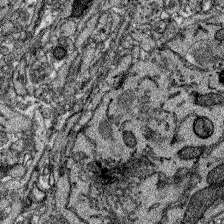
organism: Zebrafish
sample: Larval olfactory bulb